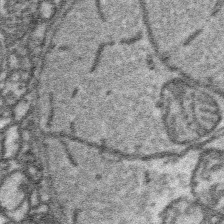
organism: Platynereis dumerilii